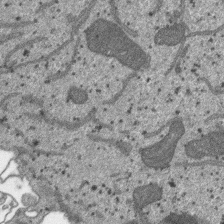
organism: Human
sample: Lung epithelial cells infected with SARS-CoV-2